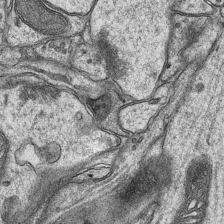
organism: Mouse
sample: CA1 Hippocampus